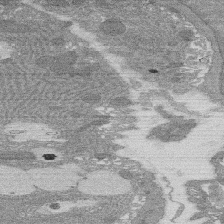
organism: Rat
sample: Salivary granule